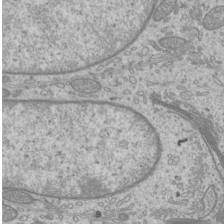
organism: Mouse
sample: Cilia; mouse epididymis